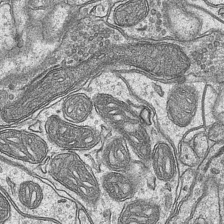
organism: Mouse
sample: CA1 Hippocampus